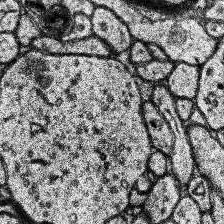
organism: Human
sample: Temporal Lobe